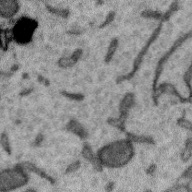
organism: Zebra finch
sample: Brain